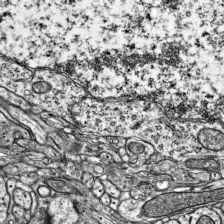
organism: Mouse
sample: Visual Cortex